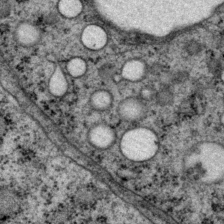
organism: P. pacificus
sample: Pharynx